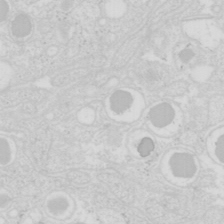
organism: Mouse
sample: Pancreas